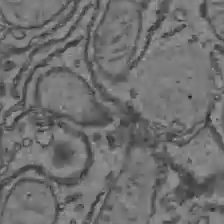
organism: C57BL Mouse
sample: Liver